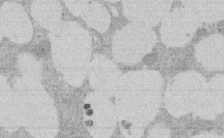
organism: Rat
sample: Salivary granule